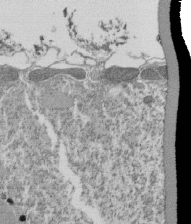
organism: Tetrahymena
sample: Cilia in tetrahymena